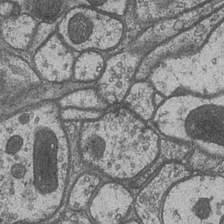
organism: Drosophila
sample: Optic medulla